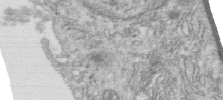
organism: Human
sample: Centriole in RPE cells